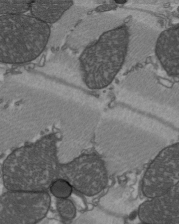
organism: C57BL Mouse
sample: Heart